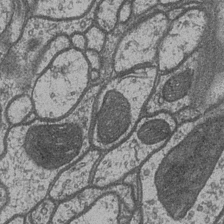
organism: Drosophila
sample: Optic medulla